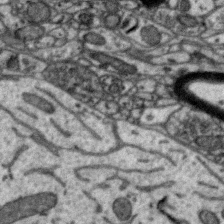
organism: Zebra finch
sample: Brain